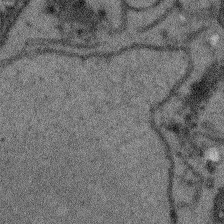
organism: Arabidopsis thaliana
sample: Root tip